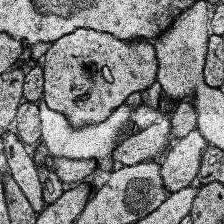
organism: Human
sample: Temporal Lobe